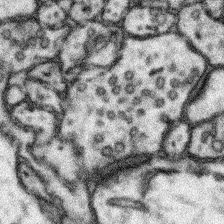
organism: Mouse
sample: Somatosensory cortex neuropil